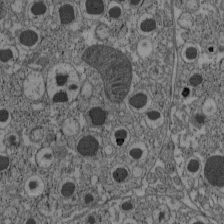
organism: C57BL Mouse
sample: Pancreatic islet